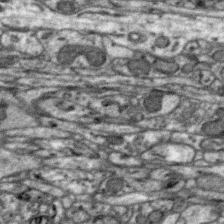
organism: Zebra finch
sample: Brain